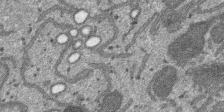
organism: Human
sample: Lung epithelial cells infected with SARS-CoV-2